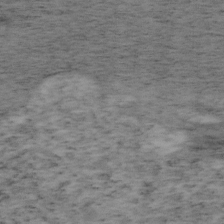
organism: Mouse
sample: OT-I killer T cells with ID8 ovarian cancer cells